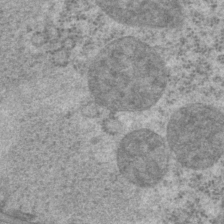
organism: P. pacificus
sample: Pharynx